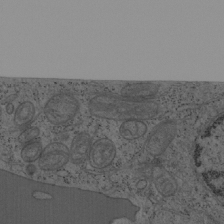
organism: Human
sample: HeLa cells